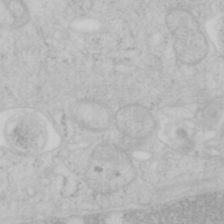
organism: Mouse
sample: OT-I killer T cells with ID8 ovarian cancer cells